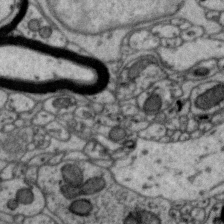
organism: Zebra finch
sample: Brain